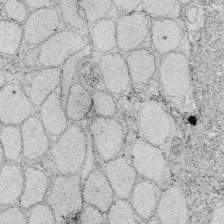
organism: Zebrafish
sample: Whole-Brain